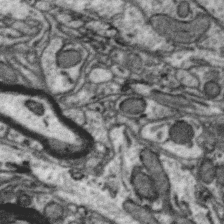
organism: Zebra finch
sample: Brain